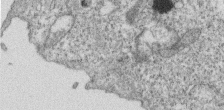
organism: Human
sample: HeLa cell HIV synapse